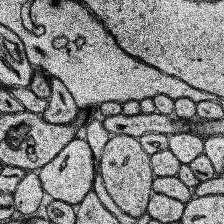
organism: Human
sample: Temporal Lobe